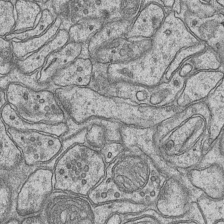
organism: Mouse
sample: CA1 Hippocampus